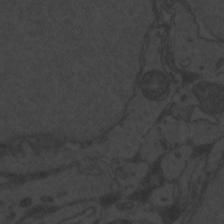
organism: Zebrafish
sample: Macrophage infected with Toxoplasma gondii